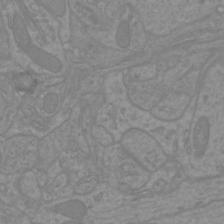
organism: Mouse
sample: Cortical neurons